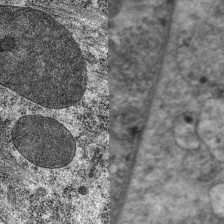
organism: C. elegans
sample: Pharynx